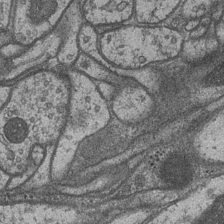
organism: Drosophila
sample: Optic medulla